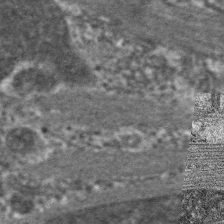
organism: C. elegans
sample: Pharynx